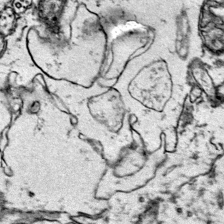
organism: Mouse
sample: Primary visual cortex